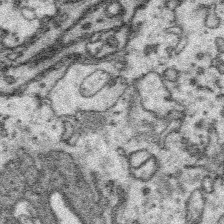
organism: Platynereis dumerilii